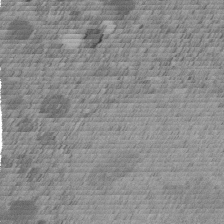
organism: C. elegans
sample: C. elegans embryo early stage